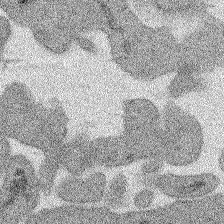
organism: Human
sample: HeLa cells